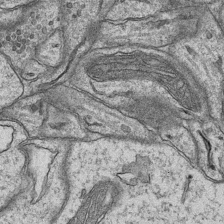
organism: Mouse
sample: CA1 Hippocampus